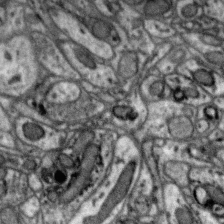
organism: Zebra finch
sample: Brain